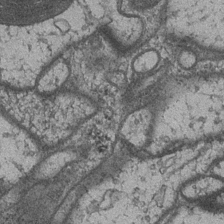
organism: Drosophila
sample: Optic medulla